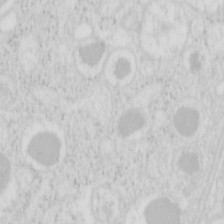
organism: Mouse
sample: Pancreas